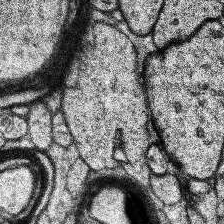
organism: Human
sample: Temporal Lobe